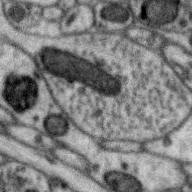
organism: Zebra finch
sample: Brain